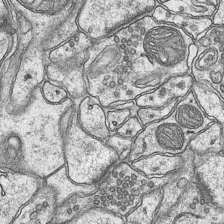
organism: Mouse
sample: CA1 Hippocampus